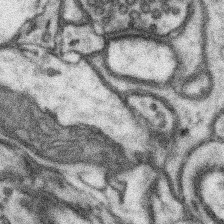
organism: Mouse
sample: Somatosensory cortex neuropil